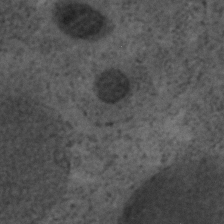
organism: C. elegans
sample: C. elegans embryo